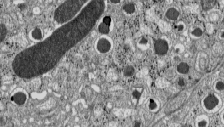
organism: C57BL Mouse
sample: Pancreatic islet